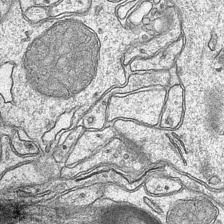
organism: Mouse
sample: CA1 Hippocampus